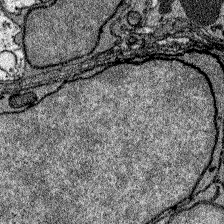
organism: Zebrafish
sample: Larval olfactory bulb